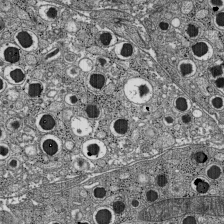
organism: C57BL Mouse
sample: Pancreatic islet